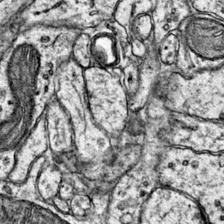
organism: Mouse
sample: Primary visual cortex